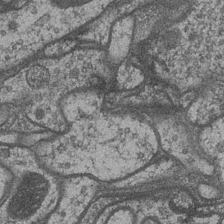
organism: Drosophila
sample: Optic medulla